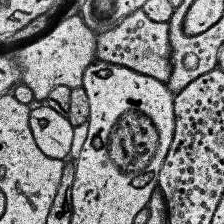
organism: Human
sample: Temporal Lobe